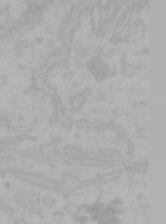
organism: Mouse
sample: Choroid plexus